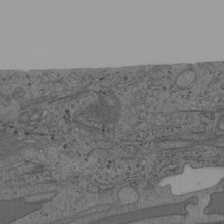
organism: Human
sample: HeLa cells